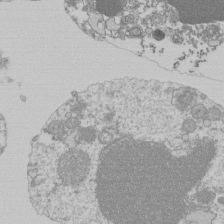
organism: Mouse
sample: Activated Pmel transgenic CD8+ T Cells